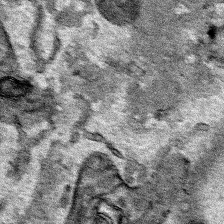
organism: Human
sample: Mitochondria in HCT116 cells